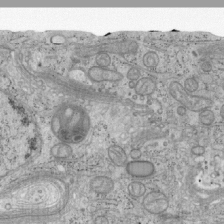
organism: Human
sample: HeLa cells